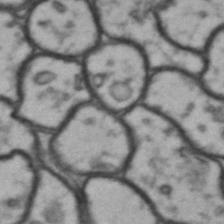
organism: Drosophila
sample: Brain